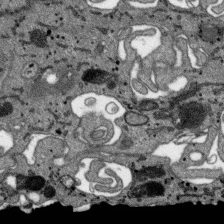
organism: Human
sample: Lung epithelial cells, uninfected (mock) control